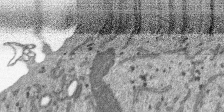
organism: Human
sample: Lung epithelial cells infected with SARS-CoV-2